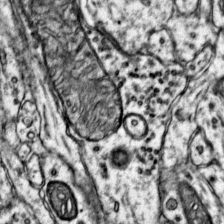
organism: Mouse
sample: Primary visual cortex